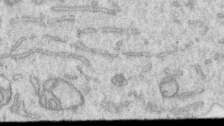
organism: Human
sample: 1205lu cells